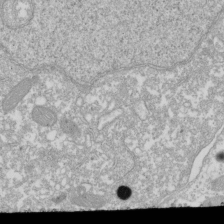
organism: Xenopus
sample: Cilia; centrioles in frog embryo cells